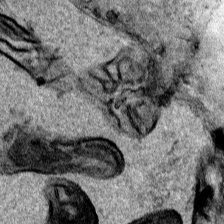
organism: Human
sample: Mitochondria in HCT116 cells